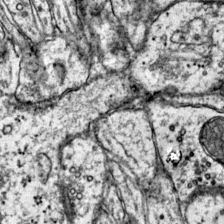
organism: Mouse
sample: Primary visual cortex